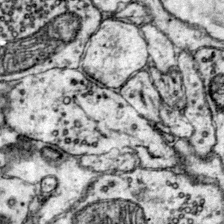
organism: Mouse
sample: Primary visual cortex